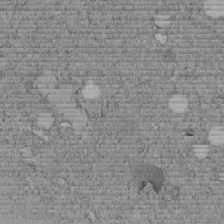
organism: C. elegans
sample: C. elegans embryo early stage